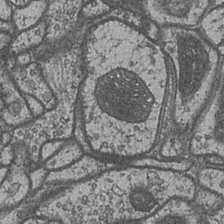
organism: Drosophila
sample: Optic medulla